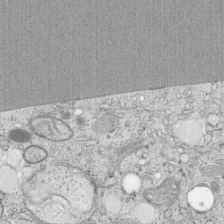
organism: African green monkey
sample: COS-7 cells